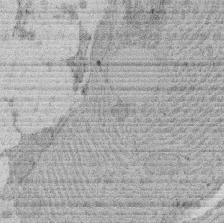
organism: Rat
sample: Salivary granule